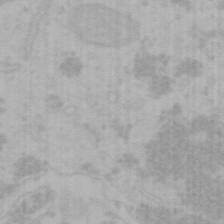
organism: Mouse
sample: Choroid plexus